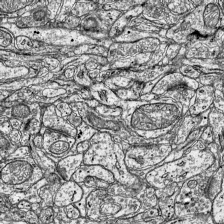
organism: Mouse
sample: Visual Cortex